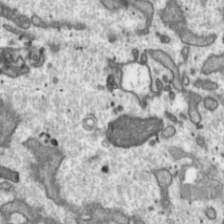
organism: Toxoplasma gondii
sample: Parasites in a vacuole inside a host cell